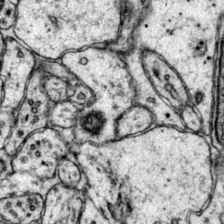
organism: Mouse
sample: Primary visual cortex